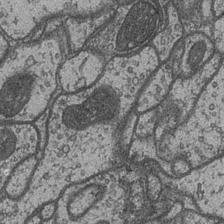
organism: Drosophila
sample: Optic medulla